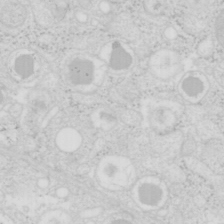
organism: Mouse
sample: Pancreas